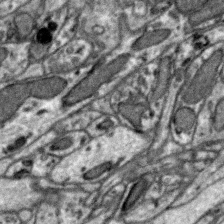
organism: Zebra finch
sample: Brain